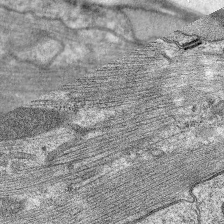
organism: C. elegans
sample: Pharynx